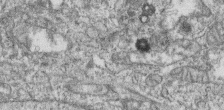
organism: Human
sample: HeLa cell HIV synapse